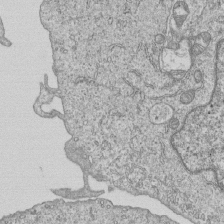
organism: Human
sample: MDA-MB-231 cells